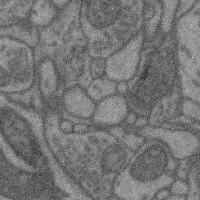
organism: Mouse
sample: Cerebral cortex